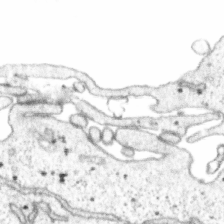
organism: Human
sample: HeLa cells